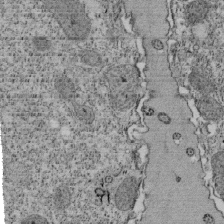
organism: Tetrahymena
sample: Cilia in tetrahymena